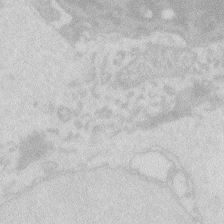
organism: Zebrafish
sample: Macrophage